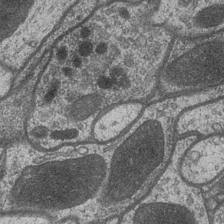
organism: Drosophila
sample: Optic medulla